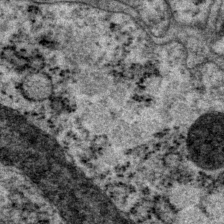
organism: P. pacificus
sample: Pharynx